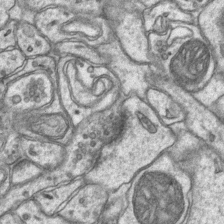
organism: Mouse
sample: CA1 Hippocampus